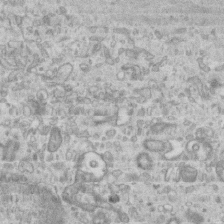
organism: Mouse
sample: Centriole in ependymal cells